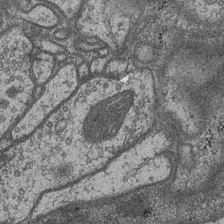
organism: Drosophila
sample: Optic medulla